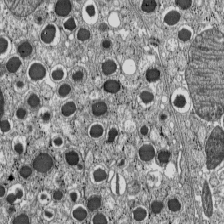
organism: C57BL Mouse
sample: Pancreatic islet